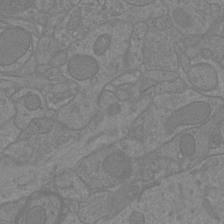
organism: Mouse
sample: Cortical neurons